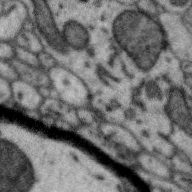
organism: Zebra finch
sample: Brain